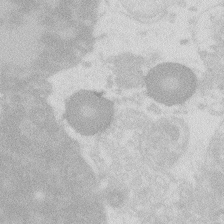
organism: Zebrafish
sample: Macrophage